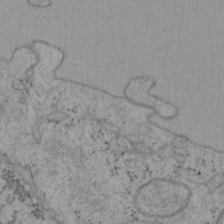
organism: Human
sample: HeLa cells